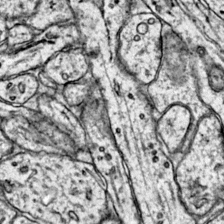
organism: Mouse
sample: Primary visual cortex